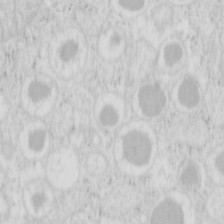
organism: Mouse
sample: Pancreas